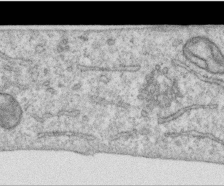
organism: Human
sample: Centriole in RPE cells